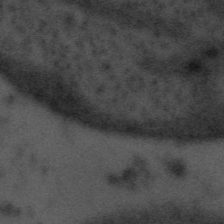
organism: Tuwongella immobilis